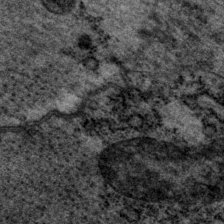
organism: P. pacificus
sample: Pharynx